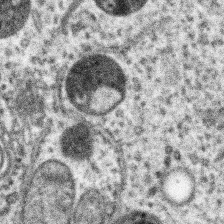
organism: Human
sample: HeLa cells